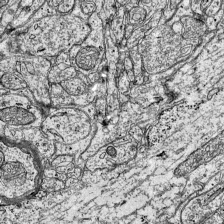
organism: Mouse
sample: Visual Cortex